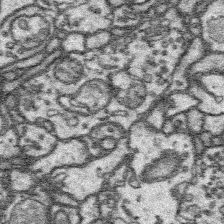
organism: Platynereis dumerilii